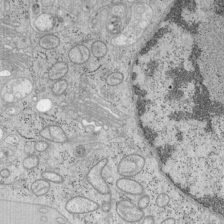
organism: Mouse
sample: OT-I killer T cells with ID8 ovarian cancer cells